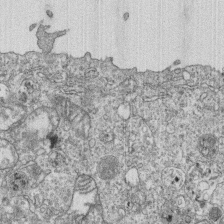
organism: Human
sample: HeLa cell HIV synapse